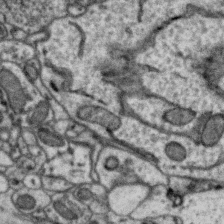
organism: Zebra finch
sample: Brain